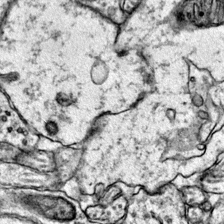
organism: Mouse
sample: Primary visual cortex